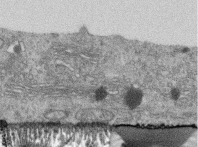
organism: Human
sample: Centriole in RPE cells